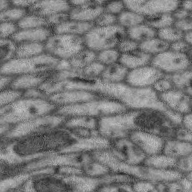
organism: Zebra finch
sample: Brain